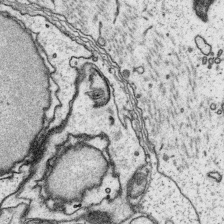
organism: Platynereis dumerilii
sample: Parapodia